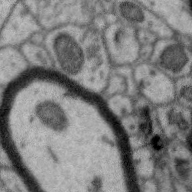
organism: Zebra finch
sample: Brain